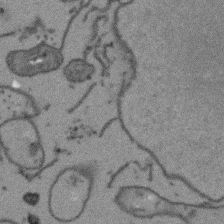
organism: Arabidopsis thaliana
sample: Root tip